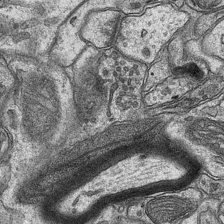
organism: Mouse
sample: CA1 Hippocampus